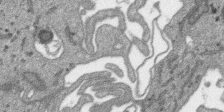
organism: Human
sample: Lung epithelial cells infected with SARS-CoV-2